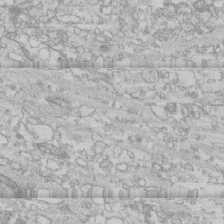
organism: Human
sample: CRL-1474